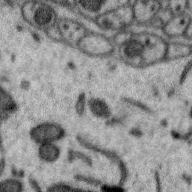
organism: Zebra finch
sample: Brain